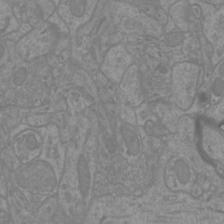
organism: Mouse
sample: Cortical neurons